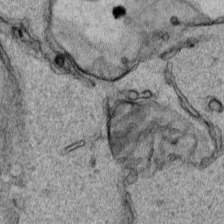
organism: Human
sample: Mitochondria in HCT116 cells